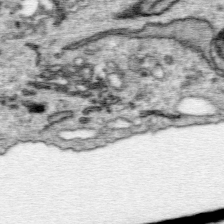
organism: Human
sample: HeLa cells